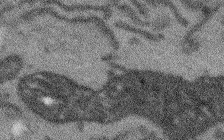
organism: Arabidopsis thaliana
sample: Root tip